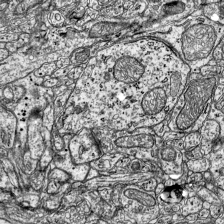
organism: Mouse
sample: Visual Cortex